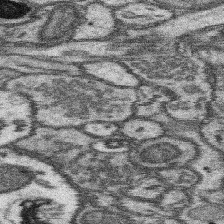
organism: Mouse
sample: Somatosensory cortex neuropil